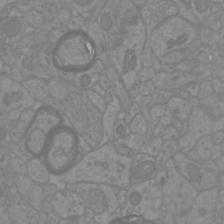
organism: Mouse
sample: Cortical neurons